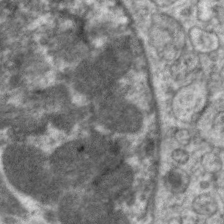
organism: C. elegans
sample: Pharynx